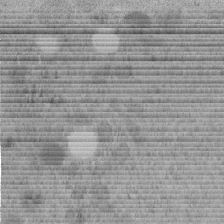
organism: C. elegans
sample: C. elegans embryo early stage